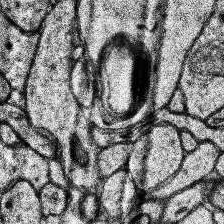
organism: Human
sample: Temporal Lobe